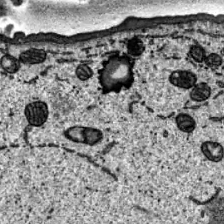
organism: Human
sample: HeLa cells